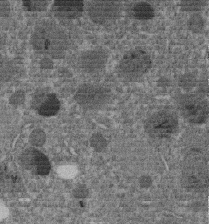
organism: C. elegans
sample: C. elegans embryo early stage